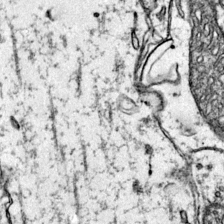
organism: Mouse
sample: Primary visual cortex